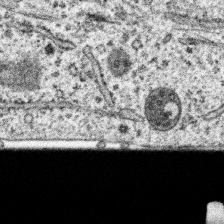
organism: Human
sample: HeLa cells